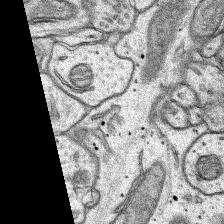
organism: Rat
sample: Hippocampus